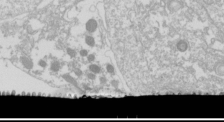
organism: Drosophila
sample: Cell division; meiosis; drosophila spermatocytes